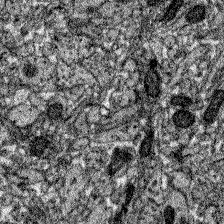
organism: Zebrafish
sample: Larval olfactory bulb